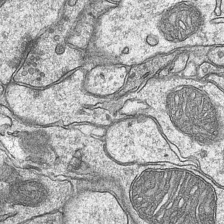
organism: Mouse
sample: CA1 Hippocampus